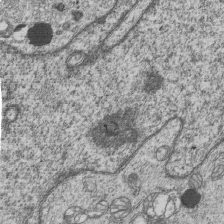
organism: Human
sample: MDA-MB-231 cells